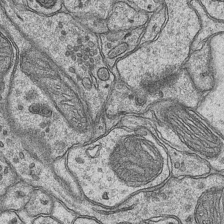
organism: Mouse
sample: CA1 Hippocampus